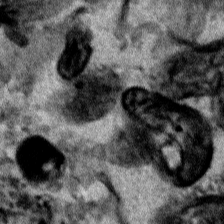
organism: Human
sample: Mitochondria in HCT116 cells